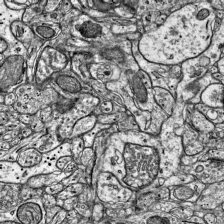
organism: Mouse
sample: Visual Cortex